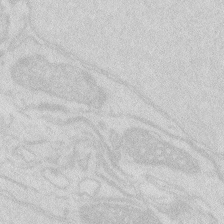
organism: Zebrafish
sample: Macrophage